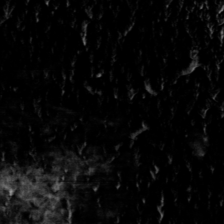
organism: Toxoplasma gondii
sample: Parasites in a vacuole inside a host cell